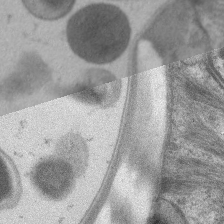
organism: C. elegans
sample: Pharynx